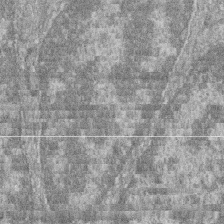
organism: Zebrafish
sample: Cilia; retinal pigment epithelium